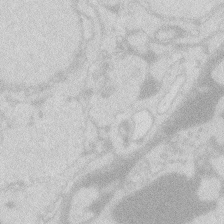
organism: Zebrafish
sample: Macrophage